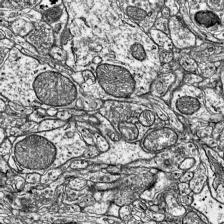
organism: Mouse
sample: Visual Cortex